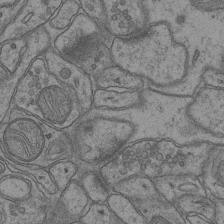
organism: Mouse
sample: CA1 Hippocampus